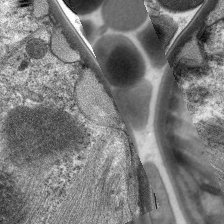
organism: C. elegans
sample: Pharynx